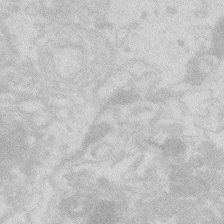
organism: Zebrafish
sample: Macrophage